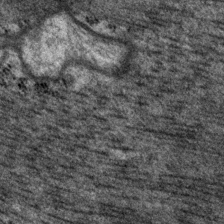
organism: P. pacificus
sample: Pharynx